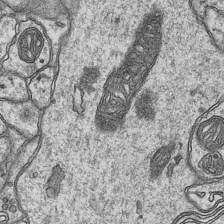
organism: Mouse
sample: CA1 Hippocampus